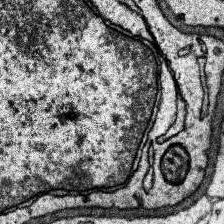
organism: Human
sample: Temporal Lobe